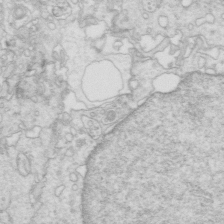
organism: Mouse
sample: Multiciliated cells